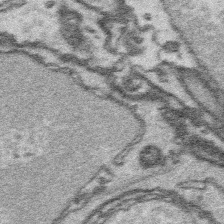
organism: Platynereis dumerilii